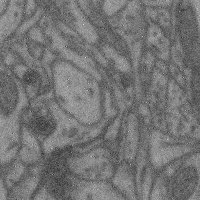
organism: Mouse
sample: Cerebral cortex